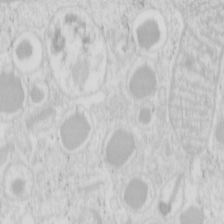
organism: Mouse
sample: Pancreas